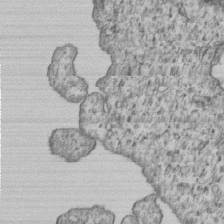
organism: Human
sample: MDA-MB-231 cells